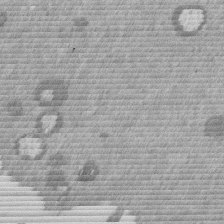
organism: Mouse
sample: Dividing mouse embryo 1 cell stage